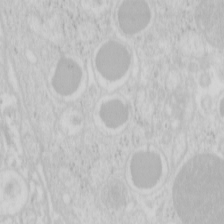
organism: Mouse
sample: Pancreas